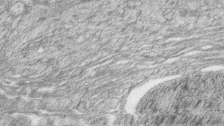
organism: Zebrafish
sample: synaptic ribbons in rod cells and cone cells